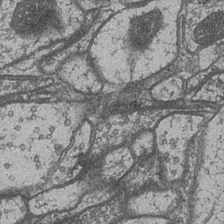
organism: Drosophila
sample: Optic medulla